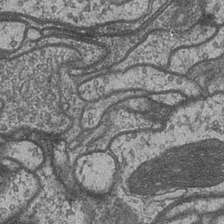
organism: Drosophila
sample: Optic medulla